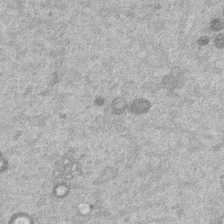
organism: Mouse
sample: Dividing mouse embryo 1 cell stage